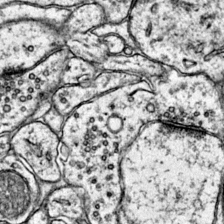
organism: Mouse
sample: Primary visual cortex